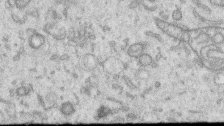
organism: Human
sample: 1205lu cells